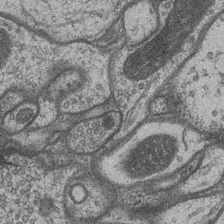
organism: Drosophila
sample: Optic medulla